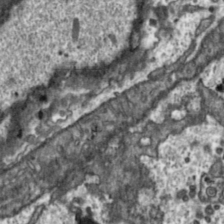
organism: Toxoplasma gondii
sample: Parasites in a vacuole inside a host cell